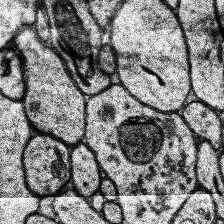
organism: Human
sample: Temporal Lobe